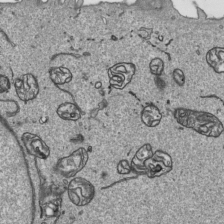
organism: Human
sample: Mitochondria in HCT116 cells